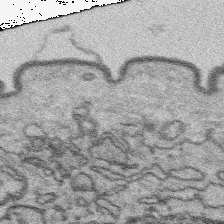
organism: Platynereis dumerilii